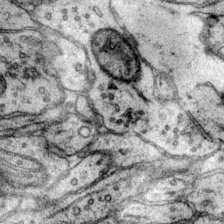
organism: Mouse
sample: Primary visual cortex